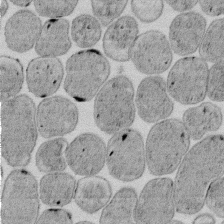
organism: E. coli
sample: Bacterial nucleoid